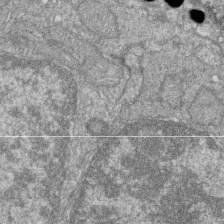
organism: Zebrafish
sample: Cilia; retinal pigment epithelium